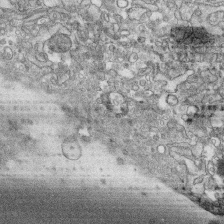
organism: Human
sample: CRL-1474